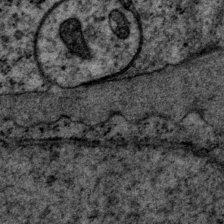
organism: P. pacificus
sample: Pharynx